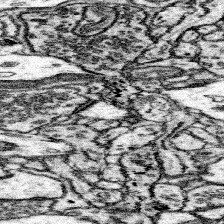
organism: Mouse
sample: Somatosensory cortex neuropil